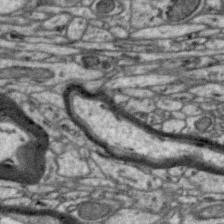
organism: Zebra finch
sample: Brain